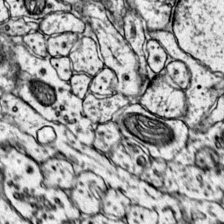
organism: Mouse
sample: Primary visual cortex